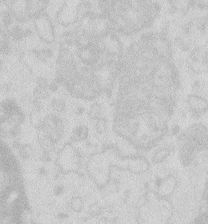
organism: Zebrafish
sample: Macrophage